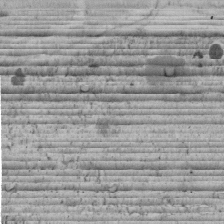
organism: C. elegans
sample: C. elegans embryo early stage